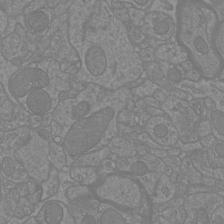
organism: Mouse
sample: Cortical neurons